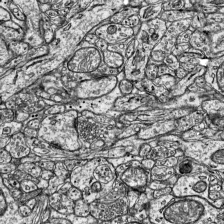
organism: Mouse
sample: Visual Cortex